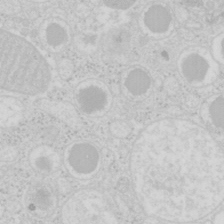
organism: Mouse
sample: Pancreas